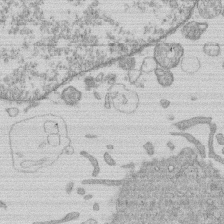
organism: Human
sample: Macrophage cells